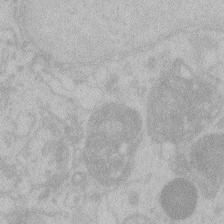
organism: Zebrafish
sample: Macrophage infected with Toxoplasma gondii